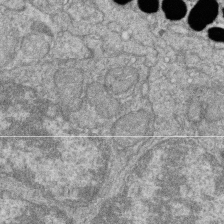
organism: Zebrafish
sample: Cilia; retinal pigment epithelium